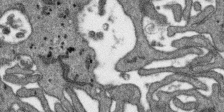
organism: Human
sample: Lung epithelial cells, uninfected (mock) control